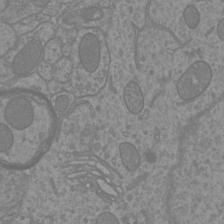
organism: Mouse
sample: Cortical neurons